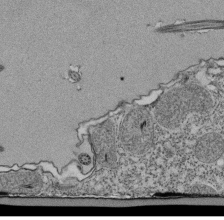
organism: Tetrahymena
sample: Cilia in tetrahymena